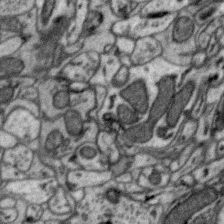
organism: Zebra finch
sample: Brain